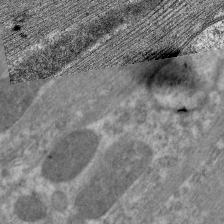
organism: C. elegans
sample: Pharynx